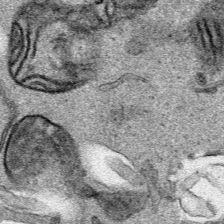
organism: Human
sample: Mitochondria in HCT116 cells